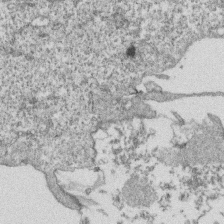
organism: Human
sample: HeLa cell HIV synapse